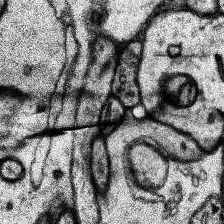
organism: Human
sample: Temporal Lobe